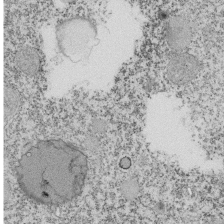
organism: Tetrahymena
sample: Cilia in tetrahymena